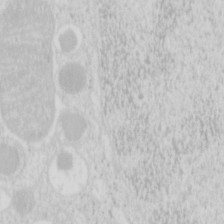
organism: Mouse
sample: Pancreas